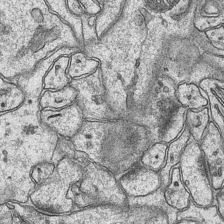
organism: Mouse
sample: CA1 Hippocampus